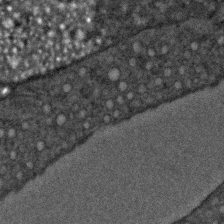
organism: C. elegans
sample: C. elegans embryo